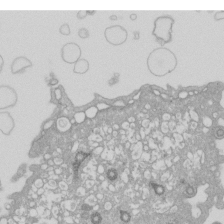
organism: Xenopus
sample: Cilia; centrioles in frog embryo cells